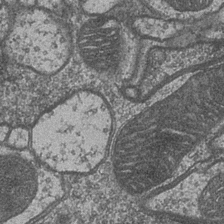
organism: Drosophila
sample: Optic medulla